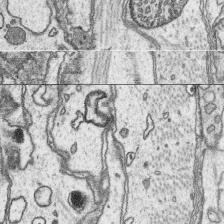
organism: Platynereis dumerilii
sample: Parapodia